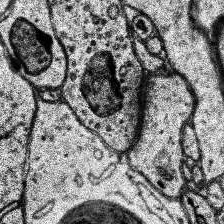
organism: Human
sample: Temporal Lobe